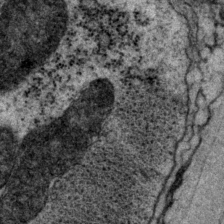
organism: P. pacificus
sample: Pharynx